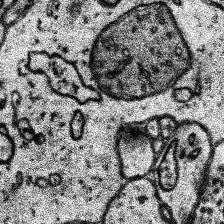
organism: Human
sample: Temporal Lobe